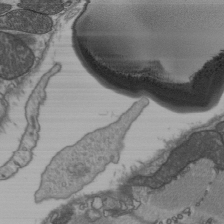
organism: C57BL Mouse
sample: Heart